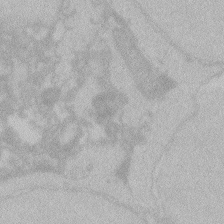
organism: Zebrafish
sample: Macrophage infected with Toxoplasma gondii